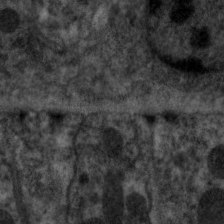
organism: C. elegans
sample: Pharynx